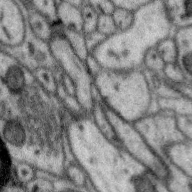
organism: Zebra finch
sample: Brain